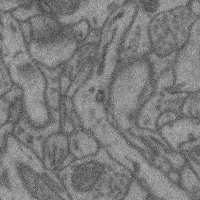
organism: Mouse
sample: Cerebral cortex